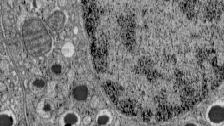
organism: C57BL Mouse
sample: Pancreatic islet